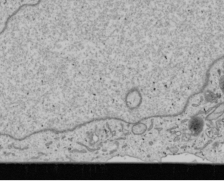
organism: Human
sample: Mitochondria in U2OS cells